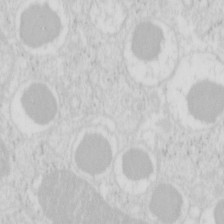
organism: Mouse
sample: Pancreas